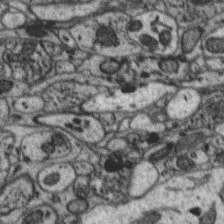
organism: Zebra finch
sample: Brain